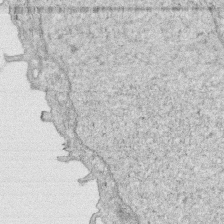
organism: Human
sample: HeLa cell HIV synapse